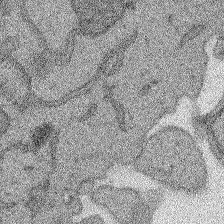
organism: Human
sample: HeLa cells